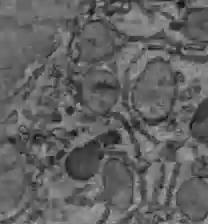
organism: C57BL Mouse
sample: Liver